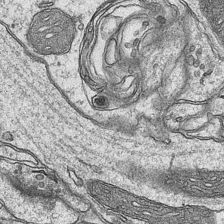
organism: Mouse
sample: CA1 Hippocampus